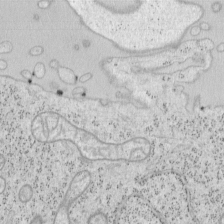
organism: Mouse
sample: OT-I killer T cells with ID8 ovarian cancer cells